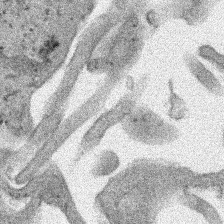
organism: Human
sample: Mitochondria in HCT116 cells